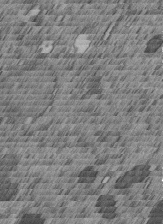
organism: C. elegans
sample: C. elegans embryo early stage